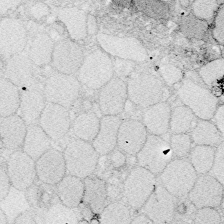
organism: Zebrafish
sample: Whole-Brain